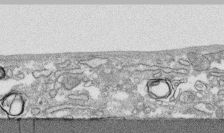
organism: Human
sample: CRL-1474